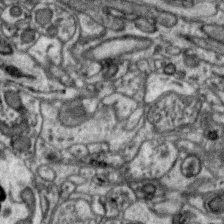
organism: Zebra finch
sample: Brain